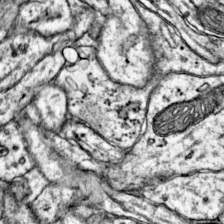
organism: Mouse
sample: Primary visual cortex